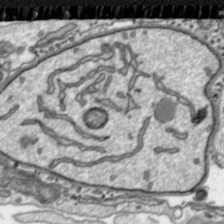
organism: Toxoplasma gondii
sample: Parasites in a vacuole inside a host cell